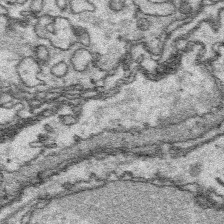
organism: Platynereis dumerilii